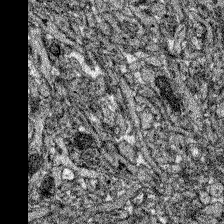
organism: Zebrafish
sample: Larval olfactory bulb